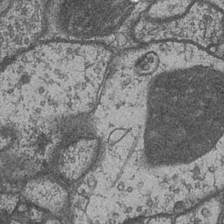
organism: Drosophila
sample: Optic medulla